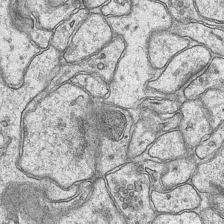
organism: Mouse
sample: CA1 Hippocampus